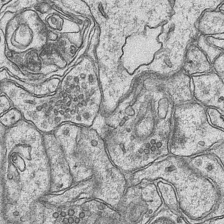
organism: Mouse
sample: CA1 Hippocampus